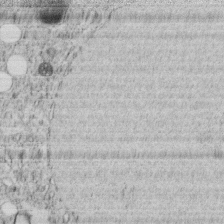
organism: C. elegans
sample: C. elegans embryo early stage